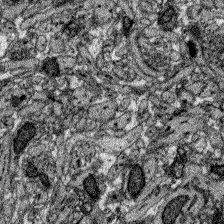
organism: Zebrafish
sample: Larval olfactory bulb